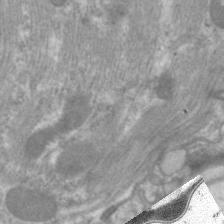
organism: C. elegans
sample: Pharynx